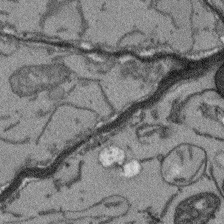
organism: Arabidopsis thaliana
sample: Root tip